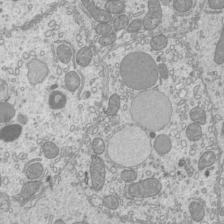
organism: Mouse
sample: Cilia; mouse epididymis